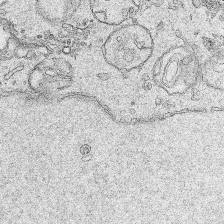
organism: Human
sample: Mitochondria in HCT116 cells